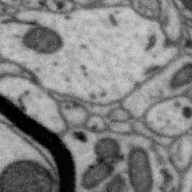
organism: Zebra finch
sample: Brain